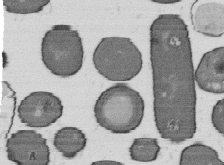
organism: B. subtilis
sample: Bacterial spore